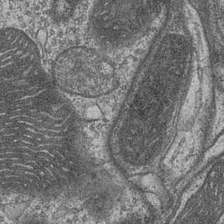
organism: Drosophila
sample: Optic medulla